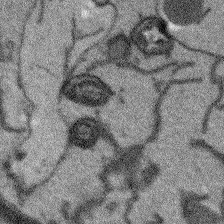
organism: Arabidopsis thaliana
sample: Root tip